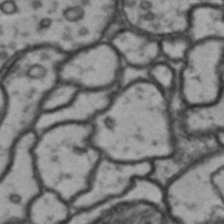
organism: Drosophila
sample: Brain